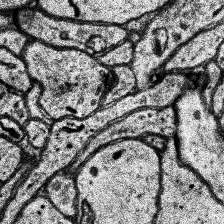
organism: Human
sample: Temporal Lobe